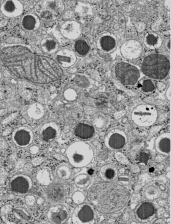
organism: C57BL Mouse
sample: Pancreatic islet